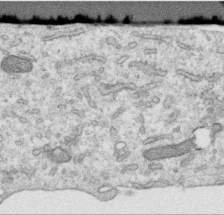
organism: Human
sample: Centriole in RPE cells